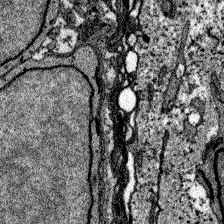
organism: Zebrafish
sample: Larval olfactory bulb